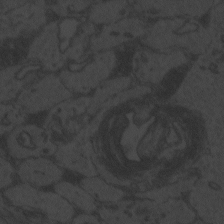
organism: Zebrafish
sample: Macrophage infected with Toxoplasma gondii